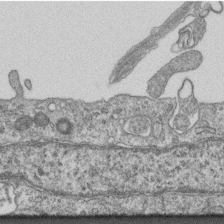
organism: Mouse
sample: Centriole in ependymal cells